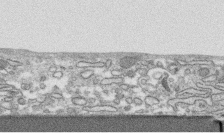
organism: Human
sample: CRL-1474